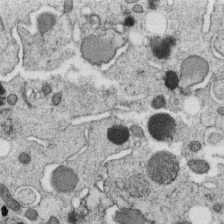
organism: C. elegans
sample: C. elegans oocyte; sperm cells